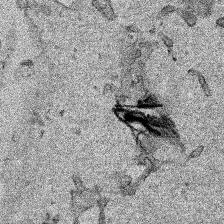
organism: Human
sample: Mitochondria in HCT116 cells